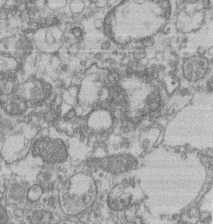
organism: Mouse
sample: T cell stromal cell synapse